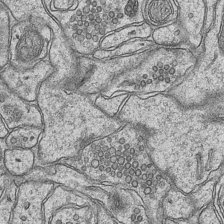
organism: Mouse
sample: CA1 Hippocampus